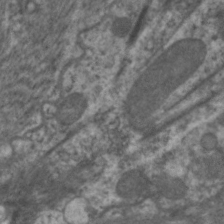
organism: C. elegans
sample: Pharynx